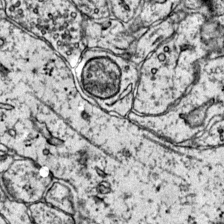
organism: Mouse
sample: Primary visual cortex